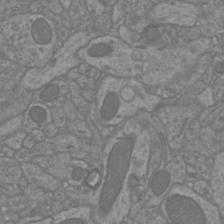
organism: Mouse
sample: Cortical neurons